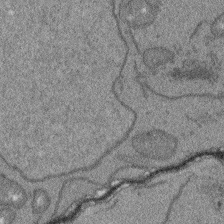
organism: Arabidopsis thaliana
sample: Root tip